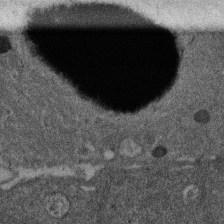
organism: Mouse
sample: Dividing mouse embryo 1 cell stage